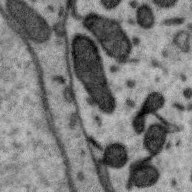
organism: Zebra finch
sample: Brain